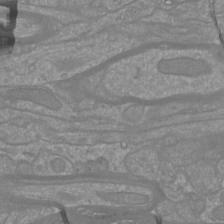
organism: Mouse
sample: Cortical neurons